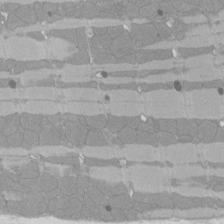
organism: Rat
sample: Left ventricle